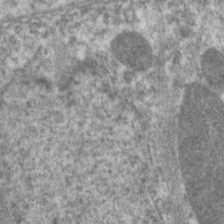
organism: C. elegans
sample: Pharynx